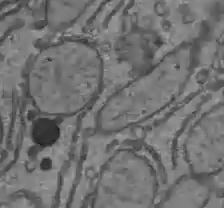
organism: C57BL Mouse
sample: Liver